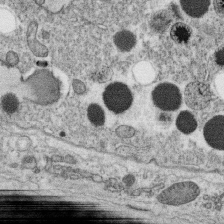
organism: C. elegans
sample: C. elegans oocyte; sperm cells